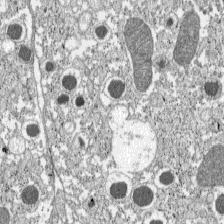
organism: C57BL Mouse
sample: Pancreatic islet